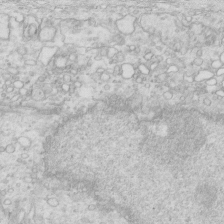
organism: Mouse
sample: Multiciliated cells